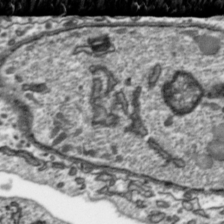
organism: Toxoplasma gondii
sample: Parasites in a vacuole inside a host cell